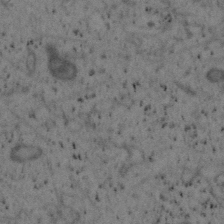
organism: Human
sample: HeLa cells